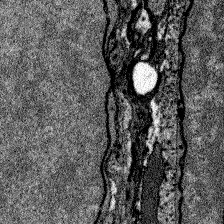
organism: Zebrafish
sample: Larval olfactory bulb